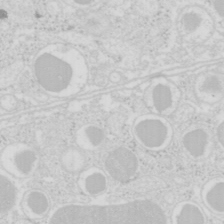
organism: Mouse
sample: Pancreas